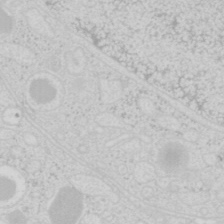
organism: Mouse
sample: Pancreas